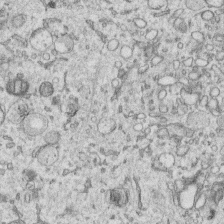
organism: Human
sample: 1205lu cells